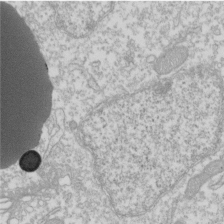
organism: Xenopus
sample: Cilia; centrioles in frog embryo cells